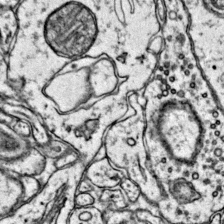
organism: Mouse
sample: Primary visual cortex